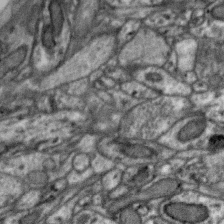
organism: Zebra finch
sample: Brain